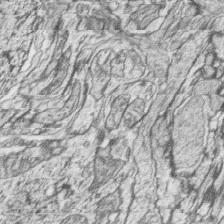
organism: Zebrafish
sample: synaptic ribbons in rod cells and cone cells